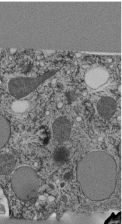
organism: C. elegans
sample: C. elegans pharynx